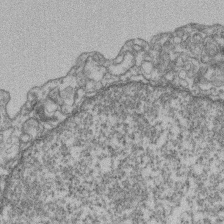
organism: Mouse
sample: T cell stromal cell synapse